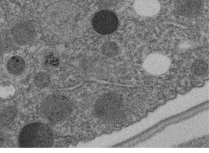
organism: C. elegans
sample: C. elegans embryo early stage